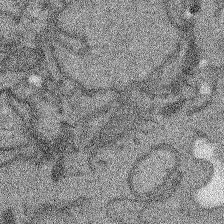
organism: Human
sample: HeLa cells